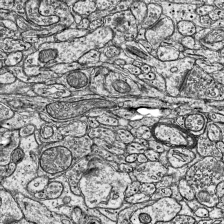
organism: Mouse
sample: Visual Cortex